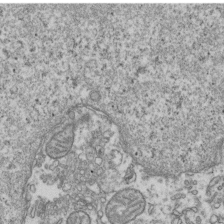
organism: Human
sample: Activated Jurkat CD4+ T cells